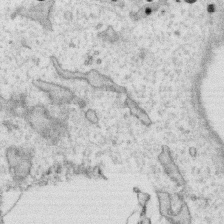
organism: Human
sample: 1205lu cells